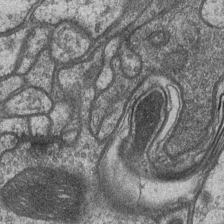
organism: Drosophila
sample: Optic medulla